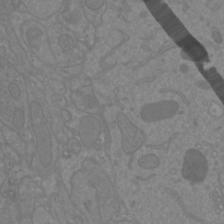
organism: Mouse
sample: Cortical neurons